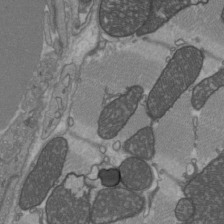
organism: C57BL Mouse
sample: Heart